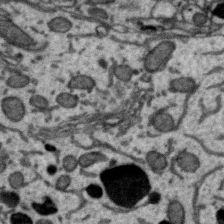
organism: Zebra finch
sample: Brain